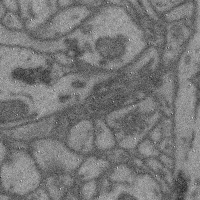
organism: Mouse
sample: Cerebral cortex